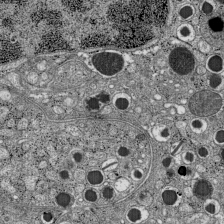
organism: C57BL Mouse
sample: Pancreatic islet